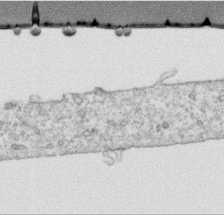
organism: Human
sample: Centriole in RPE cells